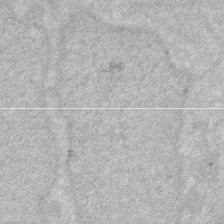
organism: Human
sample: HIV infected U937 cells